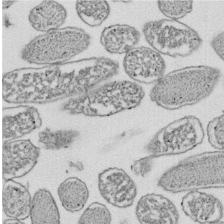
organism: E. coli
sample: Bacterial nucleoid